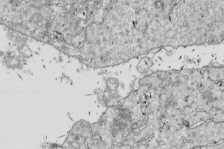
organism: Drosophila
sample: Cell division; meiosis; drosophila spermatocytes